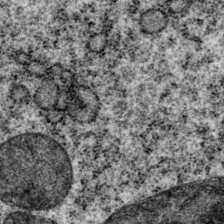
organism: P. pacificus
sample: Pharynx